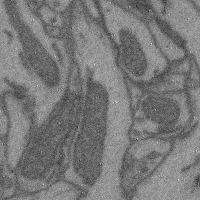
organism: Mouse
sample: Cerebral cortex